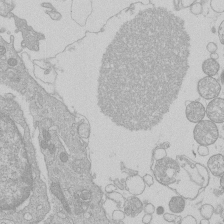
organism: Human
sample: Macrophage cells